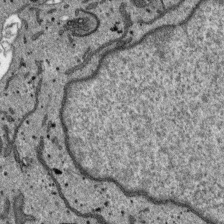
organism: Human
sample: Lung epithelial cells, uninfected (mock) control